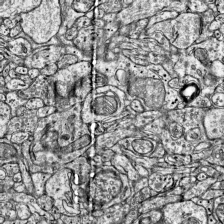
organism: Mouse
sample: Visual Cortex